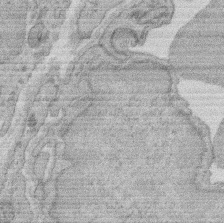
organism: Rat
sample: Salivary granule